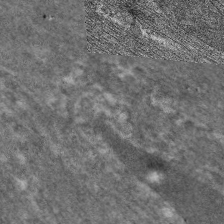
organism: C. elegans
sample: Pharynx